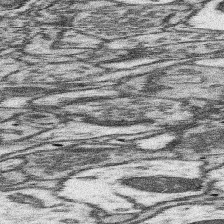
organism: Mouse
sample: Somatosensory cortex neuropil